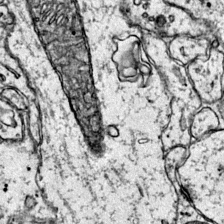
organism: Mouse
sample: Primary visual cortex